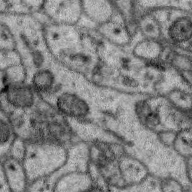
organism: Zebra finch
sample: Brain